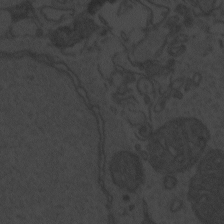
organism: Zebrafish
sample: Macrophage infected with Toxoplasma gondii